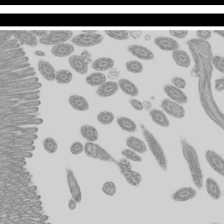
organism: Mouse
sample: Cilia; mouse epididymis